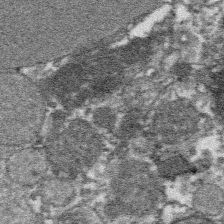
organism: Platynereis dumerilii